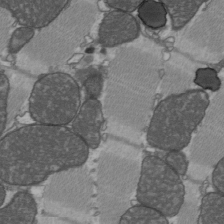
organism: C57BL Mouse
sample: Heart